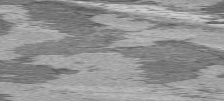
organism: C57BL Mouse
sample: Heart